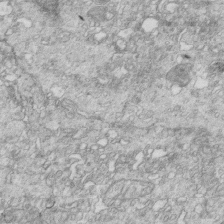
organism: Mouse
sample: Multiciliated cells